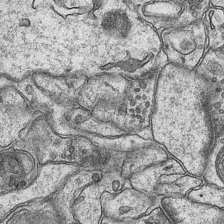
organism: Mouse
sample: CA1 Hippocampus